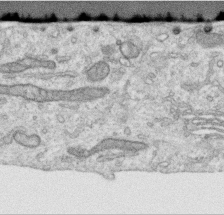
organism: Human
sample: Centriole in RPE cells